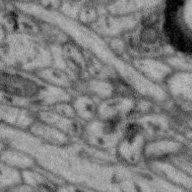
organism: Zebra finch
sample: Brain